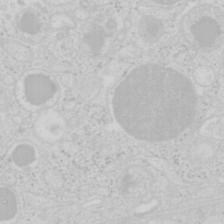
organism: Mouse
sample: Pancreas